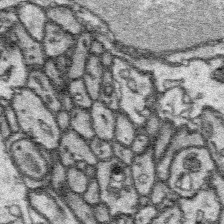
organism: Platynereis dumerilii